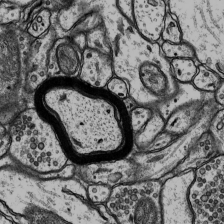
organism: Rat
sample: Hippocampus